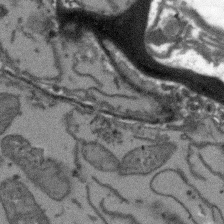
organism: Arabidopsis thaliana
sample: Root tip